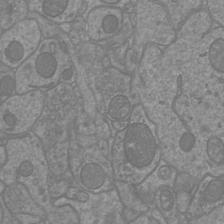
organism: Mouse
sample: Cortical neurons